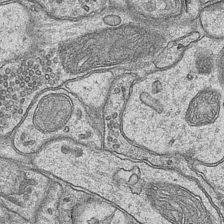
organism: Mouse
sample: CA1 Hippocampus